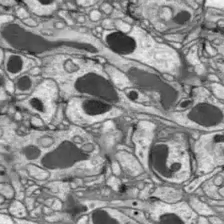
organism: Drosophila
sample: Optic lobe